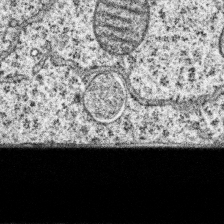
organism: Human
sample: HeLa cells